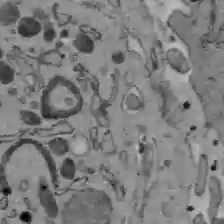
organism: C57BL Mouse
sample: Liver